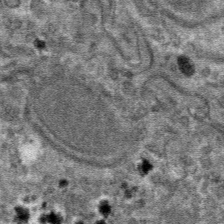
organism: Mouse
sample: Mouse hepatocytes